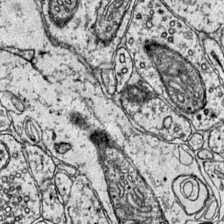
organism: Mouse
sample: Primary visual cortex